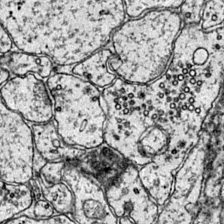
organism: Mouse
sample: Primary visual cortex